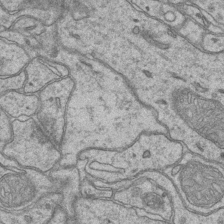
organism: Mouse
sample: CA1 Hippocampus